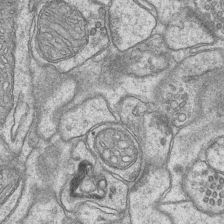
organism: Mouse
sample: CA1 Hippocampus